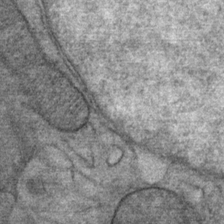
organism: Mouse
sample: Mouse Salivary gland